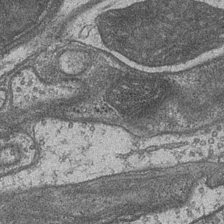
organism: Drosophila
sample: Optic medulla